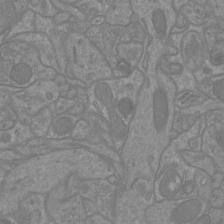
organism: Mouse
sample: Cortical neurons